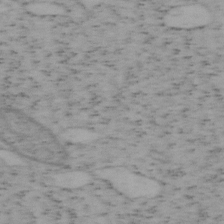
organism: Mouse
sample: OT-I killer T cells with ID8 ovarian cancer cells